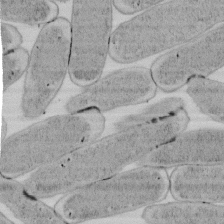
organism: E. coli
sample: Bacterial nucleoid